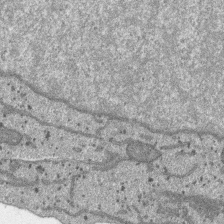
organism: Human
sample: Lung epithelial cells infected with SARS-CoV-2